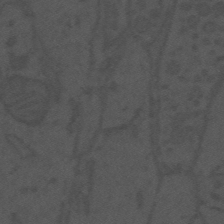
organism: Mouse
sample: Suprachiasmatic nucleus